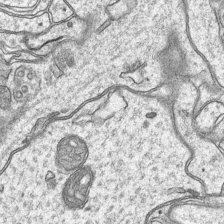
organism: Mouse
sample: CA1 Hippocampus